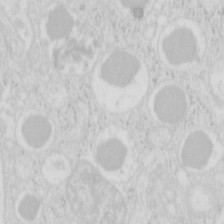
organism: Mouse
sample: Pancreas